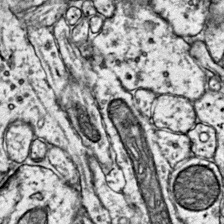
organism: Mouse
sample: Primary visual cortex